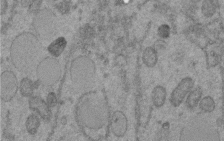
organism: C. elegans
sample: C. elegans embryo early stage